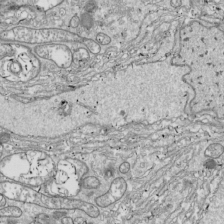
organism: Drosophila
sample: Cell division; meiosis; drosophila spermatocytes